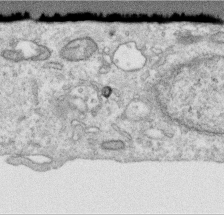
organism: Human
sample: Centriole in RPE cells